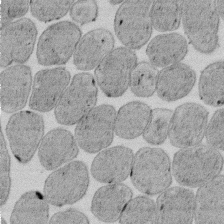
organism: E. coli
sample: Bacterial nucleoid